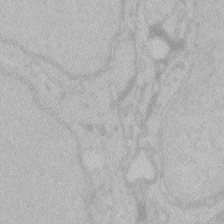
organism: Zebrafish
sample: Macrophage infected with Toxoplasma gondii